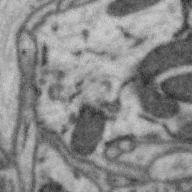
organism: Zebra finch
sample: Brain